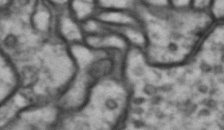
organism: Drosophila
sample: Brain